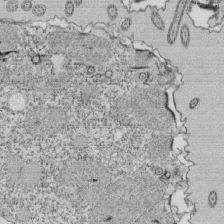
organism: Tetrahymena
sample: Cilia in tetrahymena